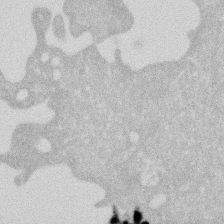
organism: Human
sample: HIV infected U937 cells